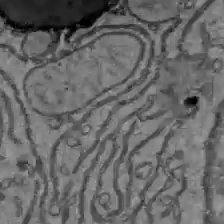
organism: C57BL Mouse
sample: Liver